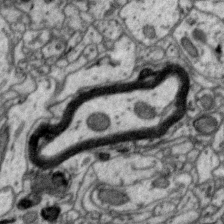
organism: Zebra finch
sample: Brain